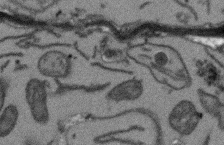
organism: Arabidopsis thaliana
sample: Root tip